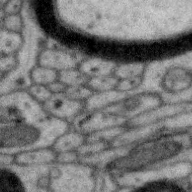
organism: Zebra finch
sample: Brain